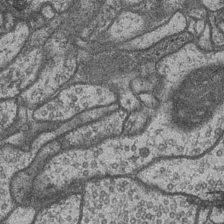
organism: Drosophila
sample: Optic medulla